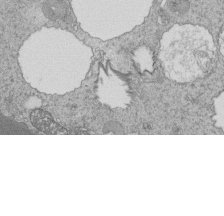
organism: Tetrahymena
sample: Cilia in tetrahymena